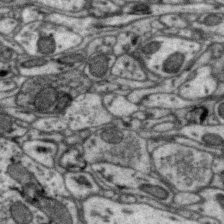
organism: Zebra finch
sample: Brain